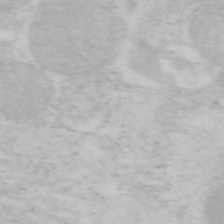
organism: Mouse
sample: OT-I killer T cells with ID8 ovarian cancer cells